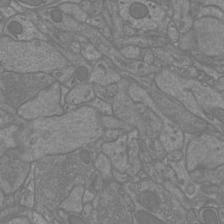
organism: Mouse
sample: Cortical neurons